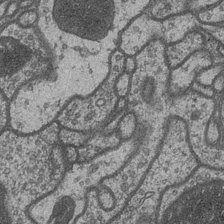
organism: Drosophila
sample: Optic medulla